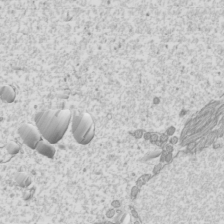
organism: Mouse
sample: Cilia; mouse epididymis